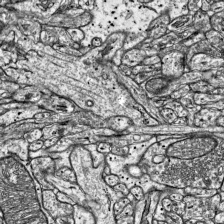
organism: Mouse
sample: Visual Cortex